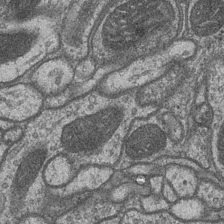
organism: Drosophila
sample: Optic medulla